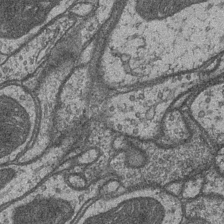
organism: Drosophila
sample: Optic medulla